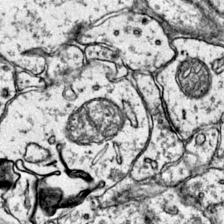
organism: Mouse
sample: Primary visual cortex